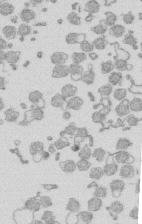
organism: Mouse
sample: Multiciliated cells